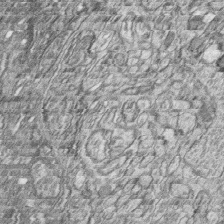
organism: Zebrafish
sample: synaptic ribbons in rod cells and cone cells